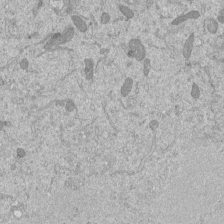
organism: Mouse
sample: ED-1 cell nuclei; centrioles